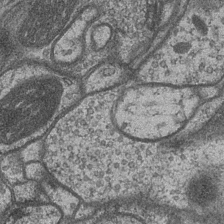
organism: Drosophila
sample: Optic medulla